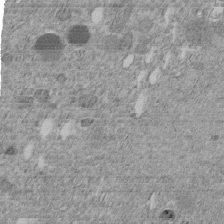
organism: C. elegans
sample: C. elegans embryo early stage